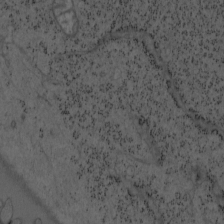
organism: Mouse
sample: OT-I killer T cells with ID8 ovarian cancer cells